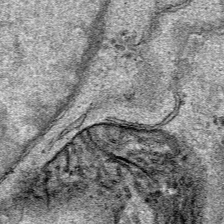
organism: Human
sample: Mitochondria in HCT116 cells